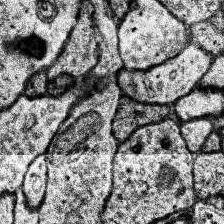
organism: Human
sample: Temporal Lobe